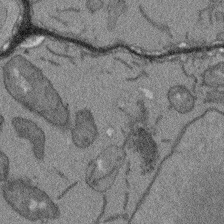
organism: Arabidopsis thaliana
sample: Root tip